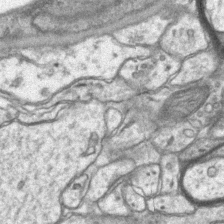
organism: Mouse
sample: CA1 Hippocampus